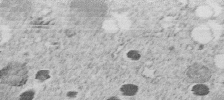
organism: C. elegans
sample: C. elegans embryo early stage